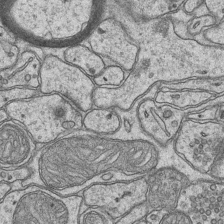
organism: Mouse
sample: CA1 Hippocampus